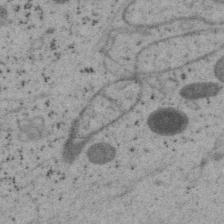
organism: Human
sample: HeLa cells